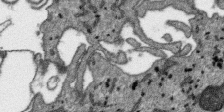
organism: Human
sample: Lung epithelial cells, uninfected (mock) control